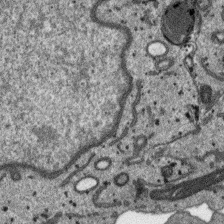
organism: Human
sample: Lung epithelial cells infected with SARS-CoV-2